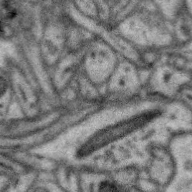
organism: Zebra finch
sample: Brain